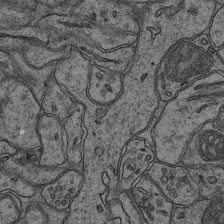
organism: Mouse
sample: CA1 Hippocampus